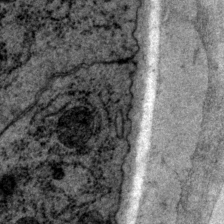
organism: P. pacificus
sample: Pharynx